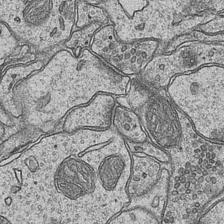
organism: Mouse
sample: CA1 Hippocampus